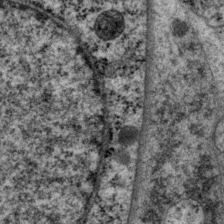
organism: P. pacificus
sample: Pharynx